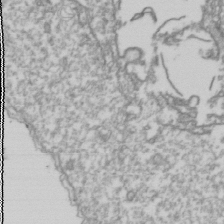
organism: Drosophila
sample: Cell division; meiosis; drosophila spermatocytes